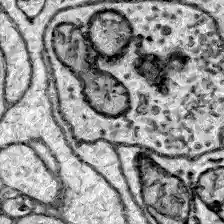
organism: Zebrafish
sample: Brain